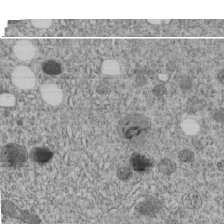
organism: C. elegans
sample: C. elegans embryo early stage